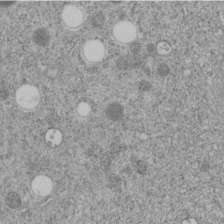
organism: C. elegans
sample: C. elegans embryo early stage